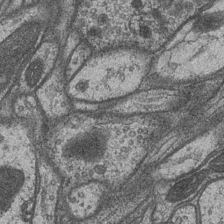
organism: Drosophila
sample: Optic medulla